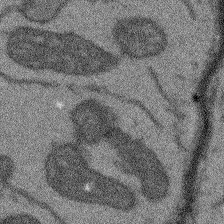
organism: Arabidopsis thaliana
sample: Root tip